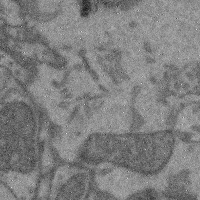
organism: Mouse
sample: Cerebral cortex